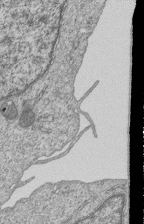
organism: Human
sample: MDA-MB-231 cells